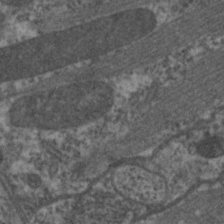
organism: C. elegans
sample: Pharynx